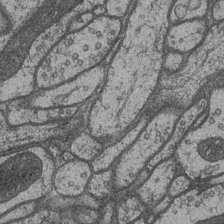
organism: Drosophila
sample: Optic medulla